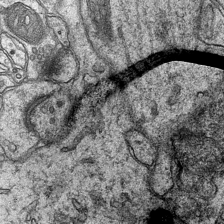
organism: Mouse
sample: CA1 Hippocampus